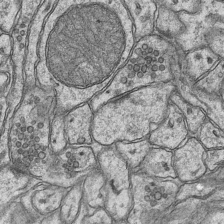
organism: Mouse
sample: CA1 Hippocampus